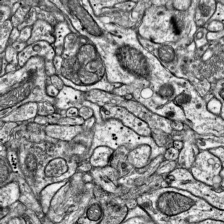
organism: Mouse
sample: Visual Cortex